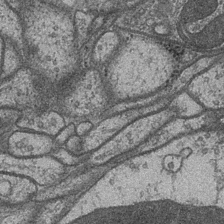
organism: Drosophila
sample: Optic medulla